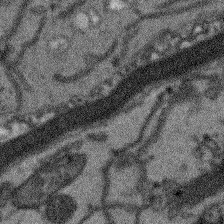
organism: Arabidopsis thaliana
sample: Root tip